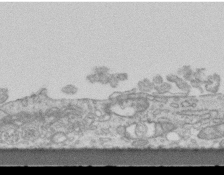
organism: Mouse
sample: Centriole in ependymal cells